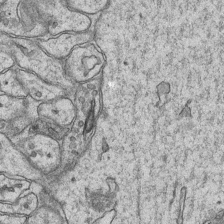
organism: Mouse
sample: CA1 Hippocampus